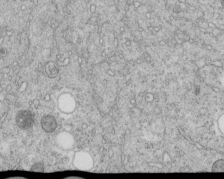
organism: C. elegans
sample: C. elegans embryo early stage